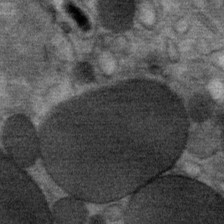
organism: Mouse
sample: Mouse Salivary gland